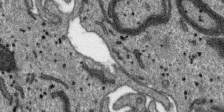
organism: Human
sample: Lung epithelial cells, uninfected (mock) control